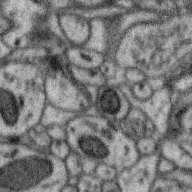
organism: Zebra finch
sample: Brain